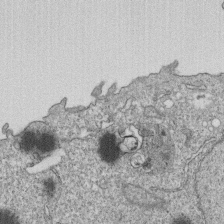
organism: Human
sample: HeLa cell HIV synapse